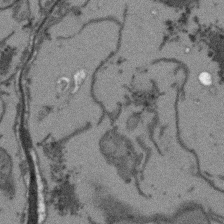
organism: Arabidopsis thaliana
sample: Root tip